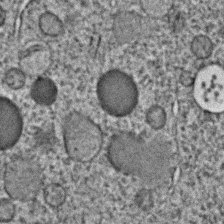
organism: C. elegans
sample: C. elegans embryo